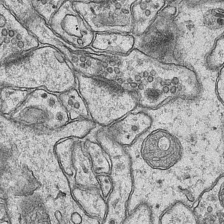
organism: Mouse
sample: CA1 Hippocampus